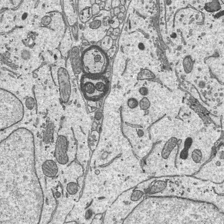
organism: Mouse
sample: Suprachiasmatic nucleus